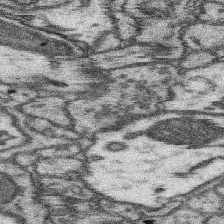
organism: Mouse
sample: Somatosensory cortex neuropil